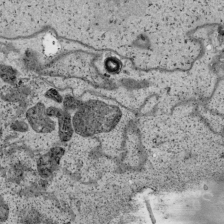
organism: Human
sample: Mitochondria in HCT116 cells